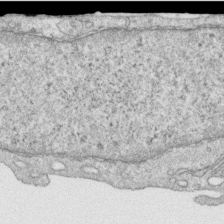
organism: Human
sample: Centriole in RPE cells